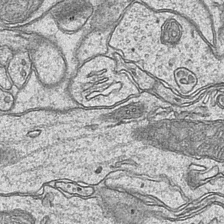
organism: Mouse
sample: CA1 Hippocampus